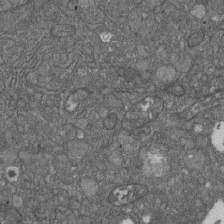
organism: Drosophila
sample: Nephrocyte